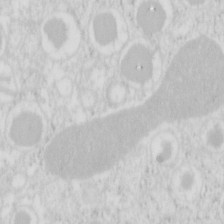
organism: Mouse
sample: Pancreas